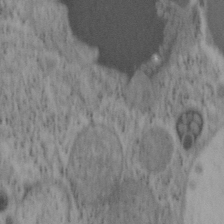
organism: Mouse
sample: OT-I killer T cells with ID8 ovarian cancer cells